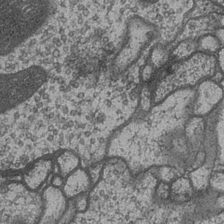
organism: Drosophila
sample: Optic medulla